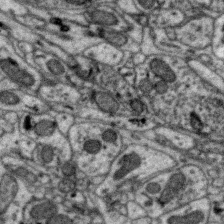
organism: Zebra finch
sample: Brain